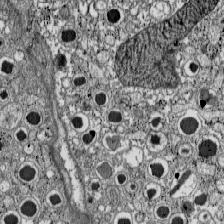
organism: C57BL Mouse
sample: Pancreatic islet